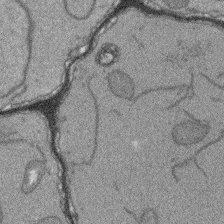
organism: Arabidopsis thaliana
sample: Root tip